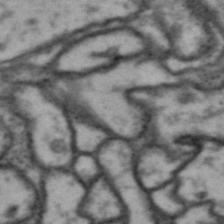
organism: Drosophila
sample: Brain